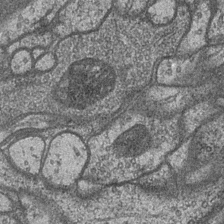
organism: Drosophila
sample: Optic medulla